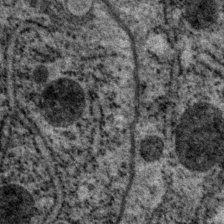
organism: P. pacificus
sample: Pharynx